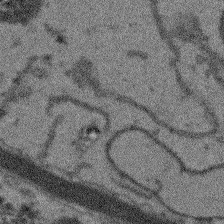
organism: Arabidopsis thaliana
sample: Root tip